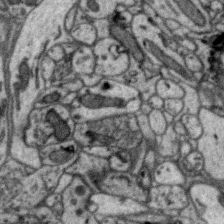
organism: Zebra finch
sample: Brain